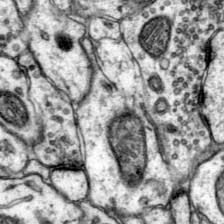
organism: Mouse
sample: Primary visual cortex